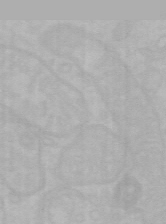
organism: Mouse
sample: Choroid plexus